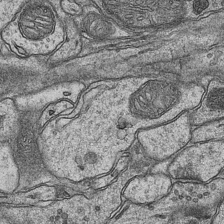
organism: Mouse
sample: CA1 Hippocampus